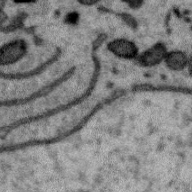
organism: Zebra finch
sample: Brain